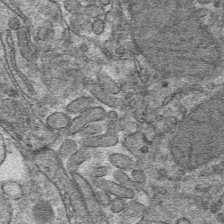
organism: Mouse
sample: Mouse hepatocytes